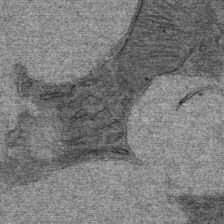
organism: Mouse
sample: Mouse Salivary gland